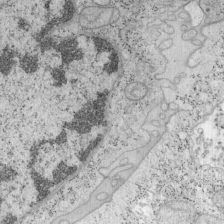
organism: Mouse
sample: OT-I killer T cells with ID8 ovarian cancer cells